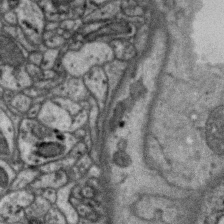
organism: Zebra finch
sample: Brain